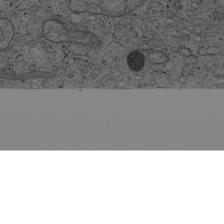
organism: African green monkey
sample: COS-7 cells